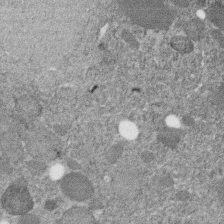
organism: C. elegans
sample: C. elegans embryo early stage